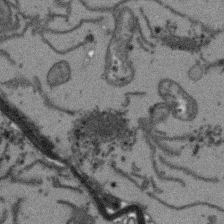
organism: Arabidopsis thaliana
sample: Root tip